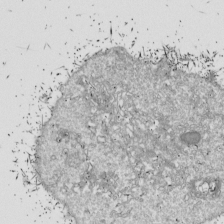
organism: Drosophila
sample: Cell division; meiosis; drosophila spermatocytes